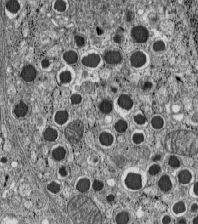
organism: C57BL Mouse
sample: Pancreatic islet